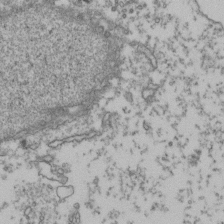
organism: Human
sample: Activated Jurkat CD4+ T cells